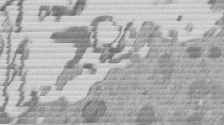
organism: Mouse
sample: Dividing mouse embryo 1 cell stage